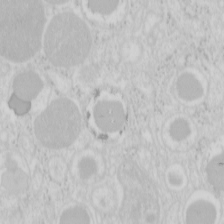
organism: Mouse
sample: Pancreas